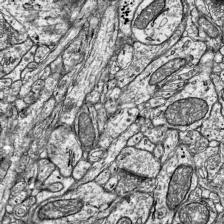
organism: Mouse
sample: Visual Cortex